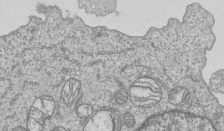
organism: Human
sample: MDA-MB-231 cells